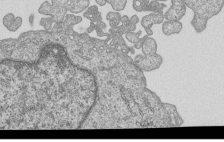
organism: Human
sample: MDA-MB-231 cells